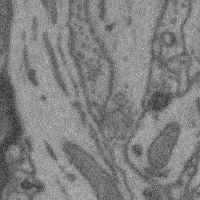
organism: Mouse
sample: Cerebral cortex